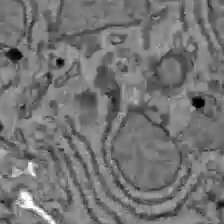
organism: C57BL Mouse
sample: Liver